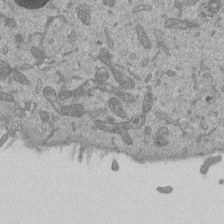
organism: Mouse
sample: ED-1 cell nuclei; centrioles